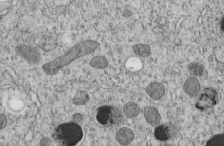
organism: C. elegans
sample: C. elegans embryo early stage